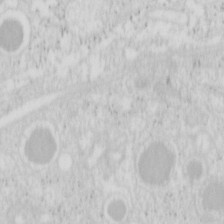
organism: Mouse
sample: Pancreas